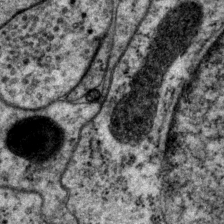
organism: P. pacificus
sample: Pharynx